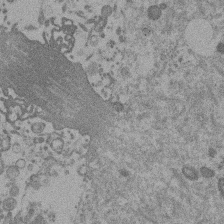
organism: Mouse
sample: Dividing mouse embryo 1 cell stage